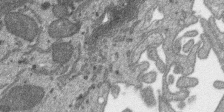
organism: Human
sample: Lung epithelial cells infected with SARS-CoV-2